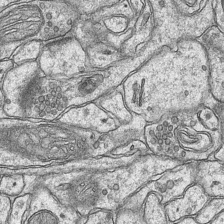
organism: Mouse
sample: CA1 Hippocampus